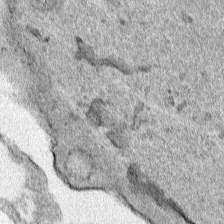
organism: Human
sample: Mitochondria in HCT116 cells